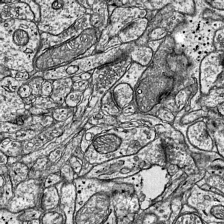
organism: Mouse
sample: Visual Cortex